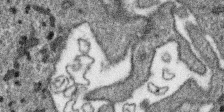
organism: Human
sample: Lung epithelial cells infected with SARS-CoV-2